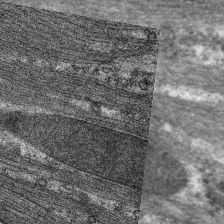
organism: C. elegans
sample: Pharynx